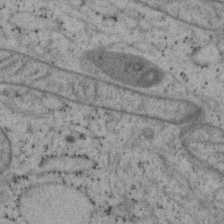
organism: Human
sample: HeLa cells